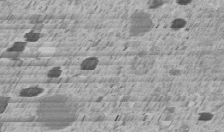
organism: C. elegans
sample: C. elegans embryo early stage